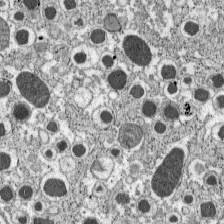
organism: C57BL Mouse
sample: Pancreatic islet